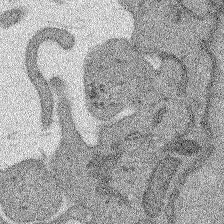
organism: Human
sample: HeLa cells